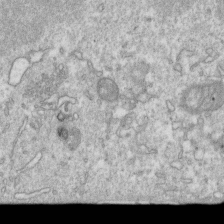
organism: Mouse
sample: Activated OT-1 CD8+ T cells